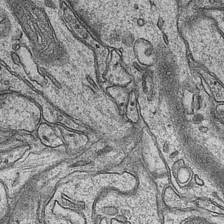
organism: Mouse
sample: CA1 Hippocampus